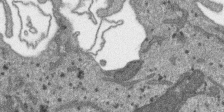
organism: Human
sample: Lung epithelial cells infected with SARS-CoV-2